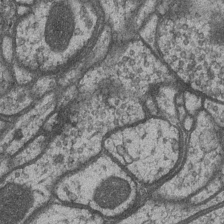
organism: Drosophila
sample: Optic medulla